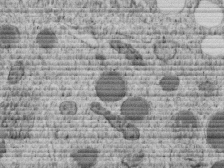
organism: C. elegans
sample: C. elegans embryo early stage